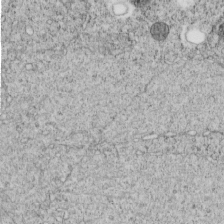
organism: C. elegans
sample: C. elegans embryo early stage